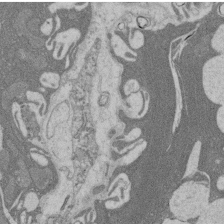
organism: Rat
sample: Salivary granule